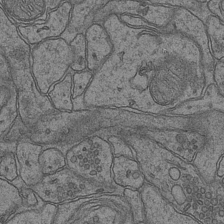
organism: Mouse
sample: CA1 Hippocampus